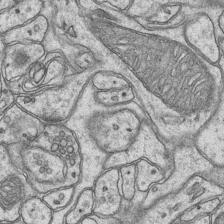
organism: Mouse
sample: CA1 Hippocampus